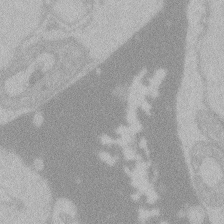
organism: Zebrafish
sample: Macrophage infected with Toxoplasma gondii